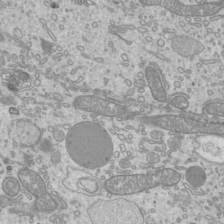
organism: Mouse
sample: Cilia; mouse epididymis